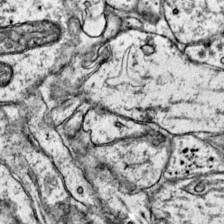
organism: Mouse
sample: Primary visual cortex